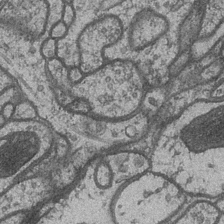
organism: Drosophila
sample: Optic medulla